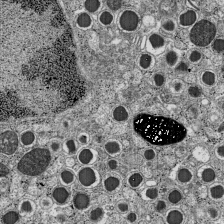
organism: C57BL Mouse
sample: Pancreatic islet